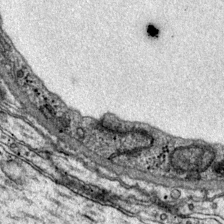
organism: Mouse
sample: Primary visual cortex